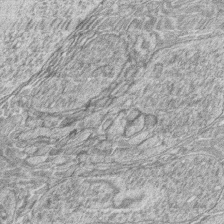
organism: Zebrafish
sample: synaptic ribbons in rod cells and cone cells